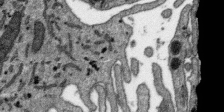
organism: Human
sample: Lung epithelial cells, uninfected (mock) control